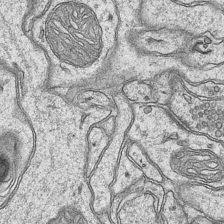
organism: Mouse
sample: CA1 Hippocampus